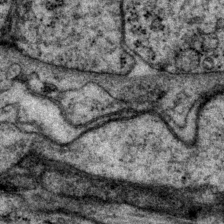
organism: P. pacificus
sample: Pharynx